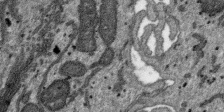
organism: Human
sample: Lung epithelial cells, uninfected (mock) control